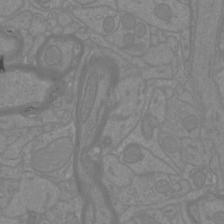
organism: Mouse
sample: Cortical neurons